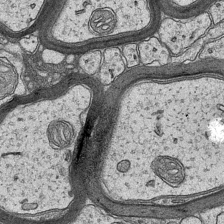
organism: Mouse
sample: CA1 Hippocampus